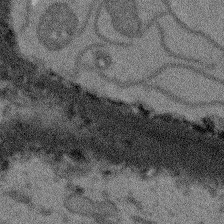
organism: Arabidopsis thaliana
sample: Root tip